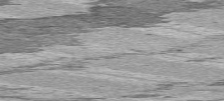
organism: C57BL Mouse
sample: Heart